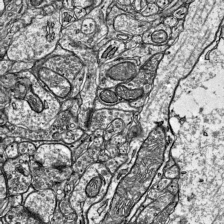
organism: Mouse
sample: Visual Cortex